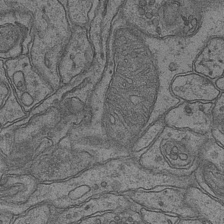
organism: Mouse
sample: CA1 Hippocampus